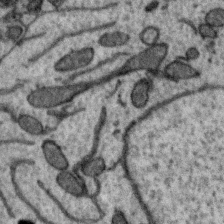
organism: Zebra finch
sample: Brain